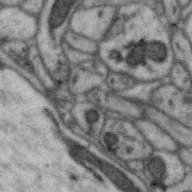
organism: Zebra finch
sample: Brain